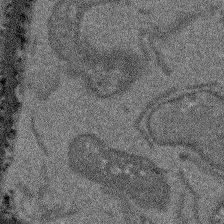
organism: Arabidopsis thaliana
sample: Root tip